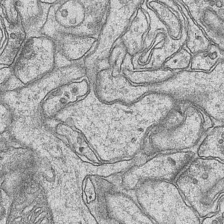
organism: Mouse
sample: CA1 Hippocampus